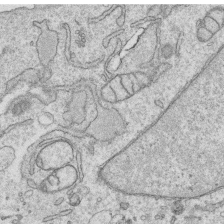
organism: Human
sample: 1205lu cells